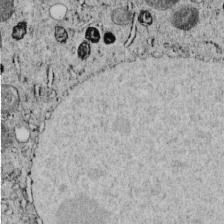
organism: C. elegans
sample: C. elegans embryo early stage